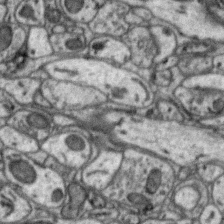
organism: Zebra finch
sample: Brain